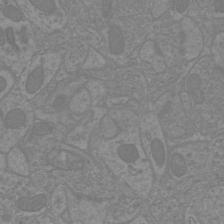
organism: Mouse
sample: Cortical neurons